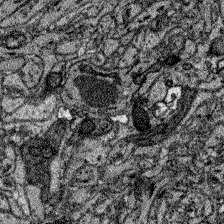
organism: Zebrafish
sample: Larval olfactory bulb